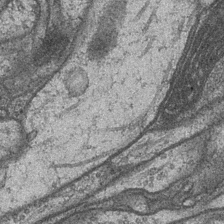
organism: Drosophila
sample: Optic medulla